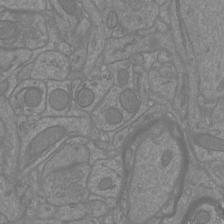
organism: Mouse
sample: Cortical neurons